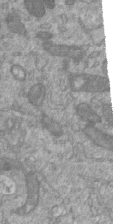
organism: Mouse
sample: ED-1 cell nuclei; centrioles